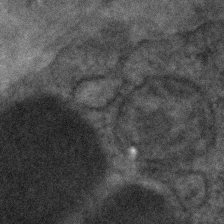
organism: Human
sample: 1205lu cells